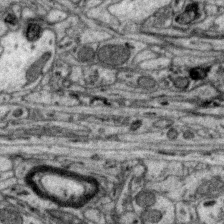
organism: Zebra finch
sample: Brain